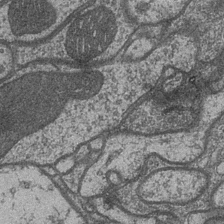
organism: Drosophila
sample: Optic medulla